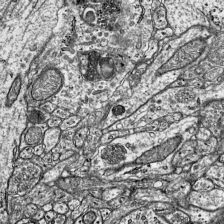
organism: Mouse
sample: Visual Cortex